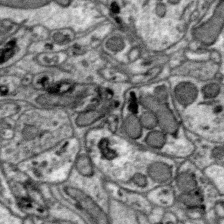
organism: Zebra finch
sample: Brain